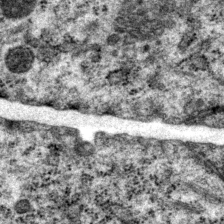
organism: P. pacificus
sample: Pharynx